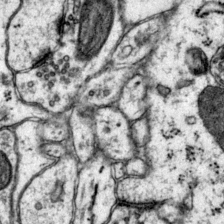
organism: Mouse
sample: Primary visual cortex